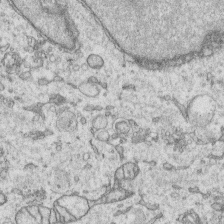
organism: Human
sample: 1205lu cells